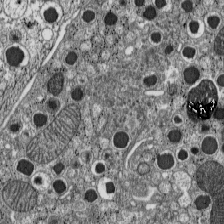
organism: C57BL Mouse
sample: Pancreatic islet